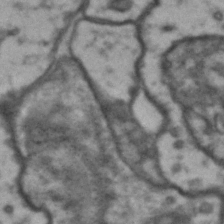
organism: Drosophila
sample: Brain